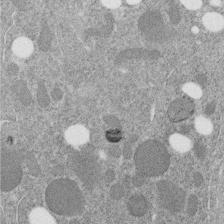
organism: C. elegans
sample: C. elegans embryo early stage